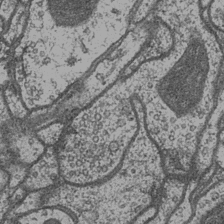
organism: Drosophila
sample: Optic medulla